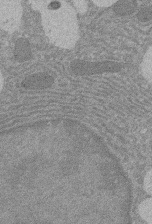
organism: Rat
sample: Salivary granule